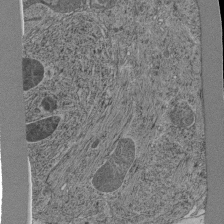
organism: C. elegans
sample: C. elegans pharynx